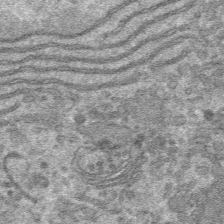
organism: Mouse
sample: Mouse hepatocytes